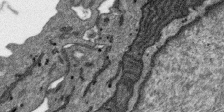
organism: Human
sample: Lung epithelial cells, uninfected (mock) control